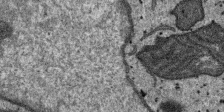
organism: Human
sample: Lung epithelial cells, uninfected (mock) control